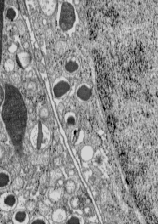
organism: C57BL Mouse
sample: Pancreatic islet